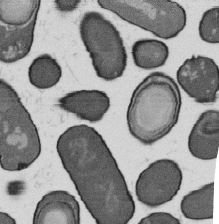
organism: B. subtilis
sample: Bacterial spore